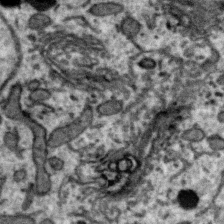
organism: Zebra finch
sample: Brain